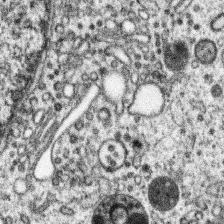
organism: Human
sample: HeLa cells